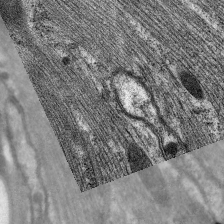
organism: C. elegans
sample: Pharynx